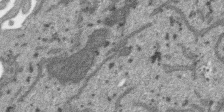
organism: Human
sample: Lung epithelial cells infected with SARS-CoV-2